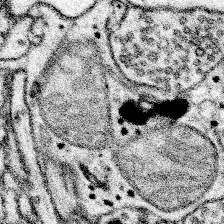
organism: Mouse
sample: Somatosensory cortex neuropil